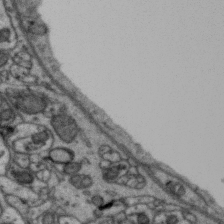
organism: Zebra finch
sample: Brain